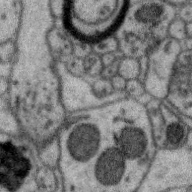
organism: Zebra finch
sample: Brain